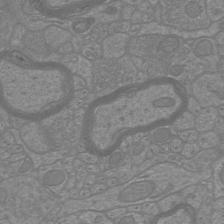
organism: Mouse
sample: Cortical neurons